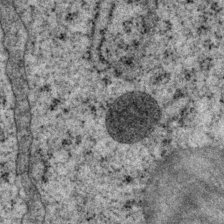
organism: P. pacificus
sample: Pharynx